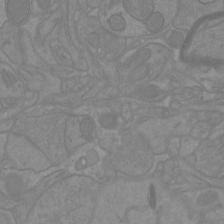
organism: Mouse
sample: Cortical neurons